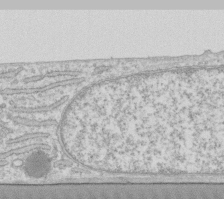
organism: Human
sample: Fibroblast cells